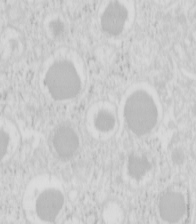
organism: Mouse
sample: Pancreas